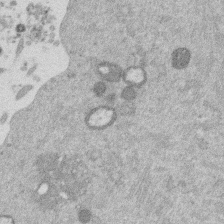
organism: Mouse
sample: Dividing mouse embryo 1 cell stage